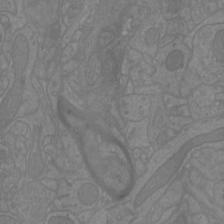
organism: Mouse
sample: Cortical neurons